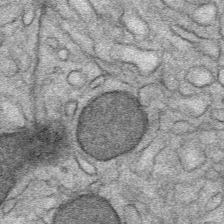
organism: Mouse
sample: Mouse Salivary gland